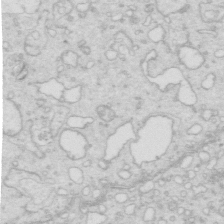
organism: Mouse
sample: Multiciliated cells